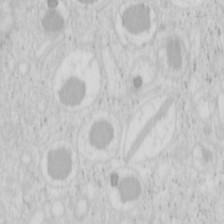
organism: Mouse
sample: Pancreas